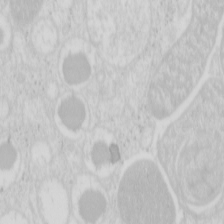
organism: Mouse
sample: Pancreas